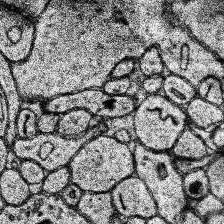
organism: Human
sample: Temporal Lobe